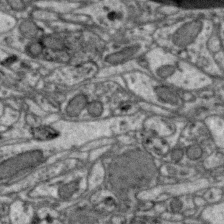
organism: Zebra finch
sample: Brain